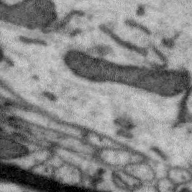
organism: Zebra finch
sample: Brain